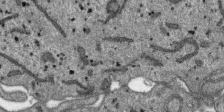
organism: Human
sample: Lung epithelial cells, uninfected (mock) control